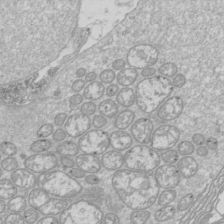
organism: Drosophila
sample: Cell division; meiosis; drosophila spermatocytes